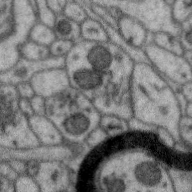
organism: Zebra finch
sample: Brain